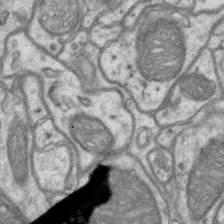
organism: Mouse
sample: CA1 Hippocampus